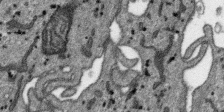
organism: Human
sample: Lung epithelial cells, uninfected (mock) control